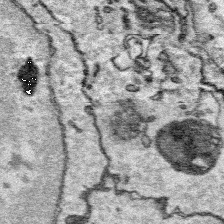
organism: Platynereis dumerilii